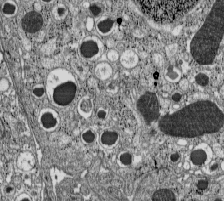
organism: C57BL Mouse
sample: Pancreatic islet